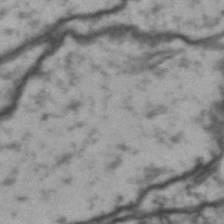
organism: Drosophila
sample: Brain